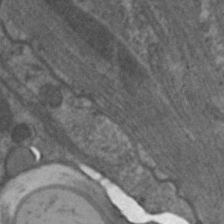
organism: C. elegans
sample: Pharynx